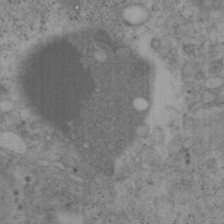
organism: Mouse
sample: OT-I killer T cells with ID8 ovarian cancer cells